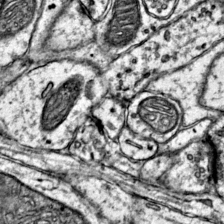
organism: Mouse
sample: Primary visual cortex